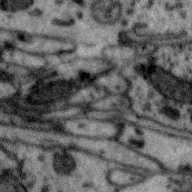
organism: Zebra finch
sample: Brain